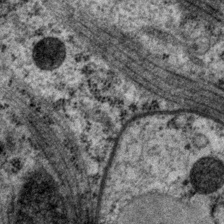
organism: P. pacificus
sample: Pharynx